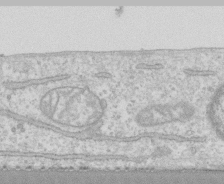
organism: Human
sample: CRL-1474